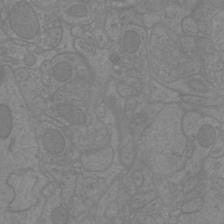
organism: Mouse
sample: Cortical neurons